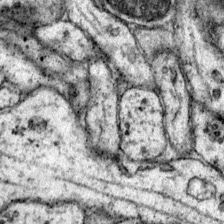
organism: Mouse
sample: Primary visual cortex